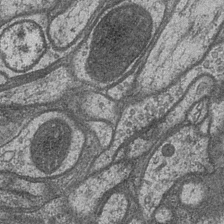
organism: Drosophila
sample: Optic medulla